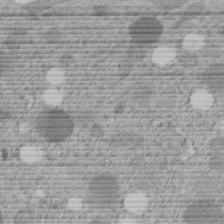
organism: C. elegans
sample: C. elegans embryo early stage